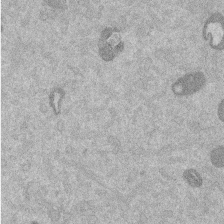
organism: Mouse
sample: Dividing mouse embryo 1 cell stage